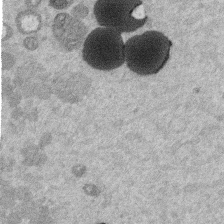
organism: Mouse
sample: Dividing mouse embryo 1 cell stage